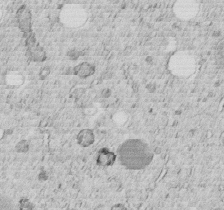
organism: C. elegans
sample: C. elegans embryo early stage